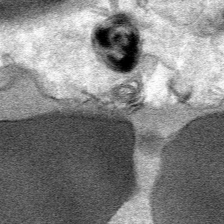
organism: Mouse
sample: Mouse Salivary gland